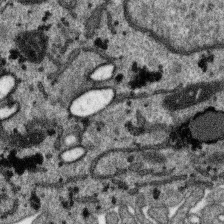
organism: Human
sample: Lung epithelial cells infected with SARS-CoV-2